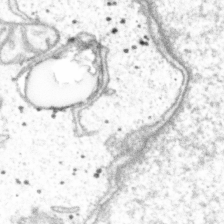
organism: Human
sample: HeLa cells